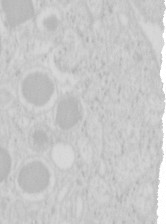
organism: Mouse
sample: Pancreas